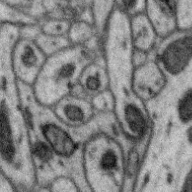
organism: Zebra finch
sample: Brain